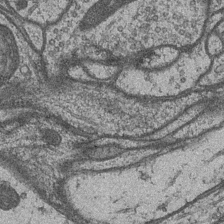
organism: Drosophila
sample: Optic medulla